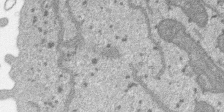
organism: Human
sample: Lung epithelial cells infected with SARS-CoV-2